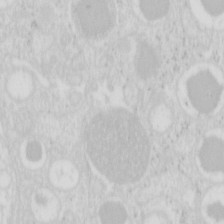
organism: Mouse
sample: Pancreas